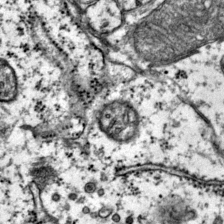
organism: Mouse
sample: Primary visual cortex